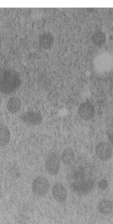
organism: C. elegans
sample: C. elegans embryo early stage